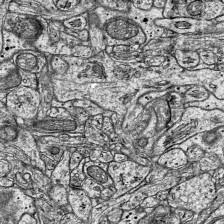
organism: Mouse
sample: Visual Cortex